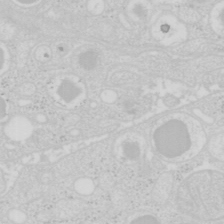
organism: Mouse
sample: Pancreas